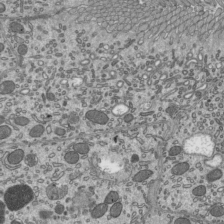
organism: Mouse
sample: Mouse epididymis efferent ductule cilia